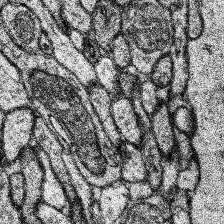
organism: Human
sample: Temporal Lobe